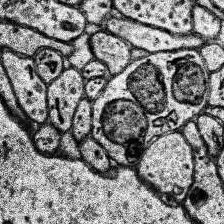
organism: Human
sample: Temporal Lobe